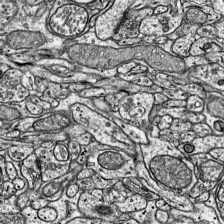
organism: Mouse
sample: Visual Cortex